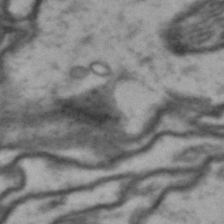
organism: Drosophila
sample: Brain